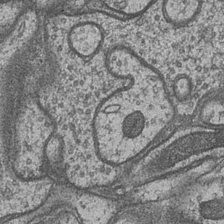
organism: Drosophila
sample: Optic medulla